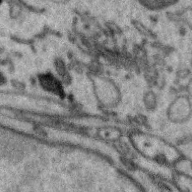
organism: Zebra finch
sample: Brain